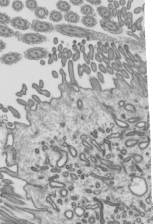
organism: Mouse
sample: Mouse epididymis efferent ductule cilia